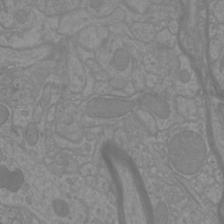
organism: Mouse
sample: Cortical neurons